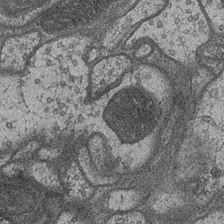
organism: Drosophila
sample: Optic medulla